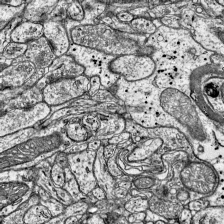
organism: Mouse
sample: Visual Cortex